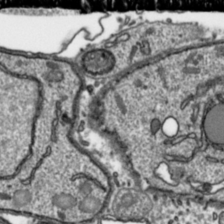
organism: Toxoplasma gondii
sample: Parasites in a vacuole inside a host cell